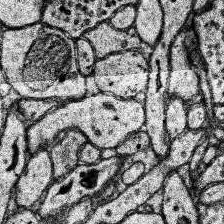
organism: Human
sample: Temporal Lobe